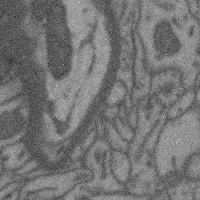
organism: Mouse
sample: Cerebral cortex